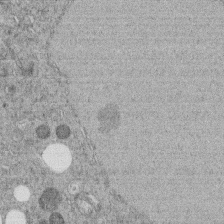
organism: C. elegans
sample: C. elegans embryo early stage